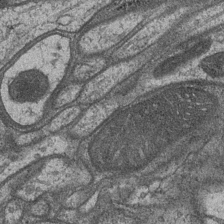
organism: Drosophila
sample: Optic medulla